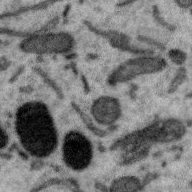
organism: Zebra finch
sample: Brain